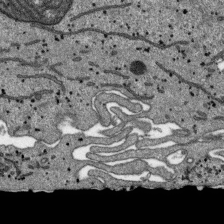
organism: Human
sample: Lung epithelial cells, uninfected (mock) control